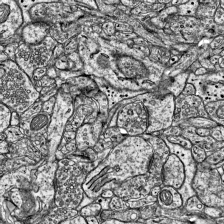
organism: Mouse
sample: Visual Cortex